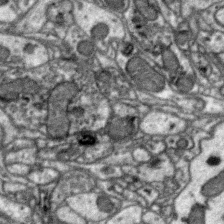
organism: Zebra finch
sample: Brain